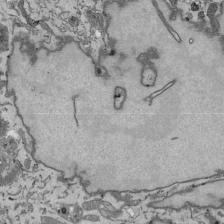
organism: Mouse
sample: ED-1 cell nuclei; centrioles